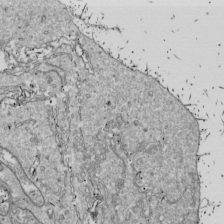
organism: Drosophila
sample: Cell division; meiosis; drosophila spermatocytes